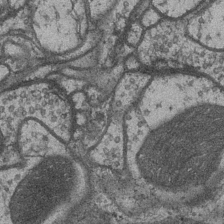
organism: Drosophila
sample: Optic medulla